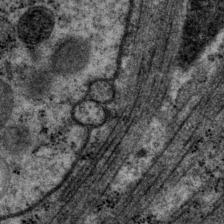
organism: P. pacificus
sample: Pharynx